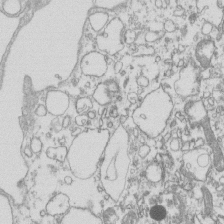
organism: Mouse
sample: Macrophages